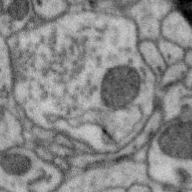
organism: Zebra finch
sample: Brain